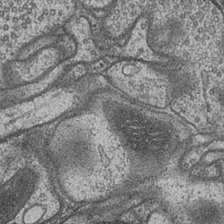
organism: Drosophila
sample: Optic medulla